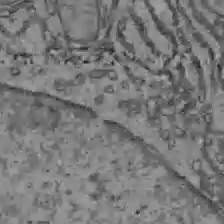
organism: C57BL Mouse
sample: Liver